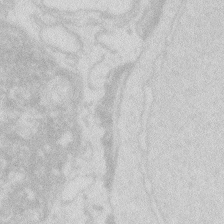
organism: Zebrafish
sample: Macrophage